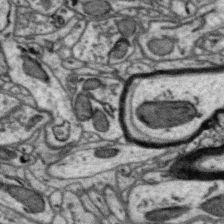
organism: Zebra finch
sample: Brain